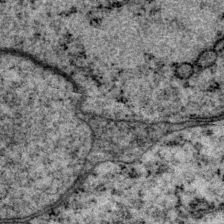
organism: P. pacificus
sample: Pharynx